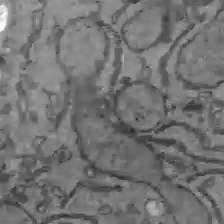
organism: C57BL Mouse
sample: Liver